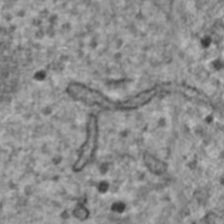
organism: Human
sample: Blood